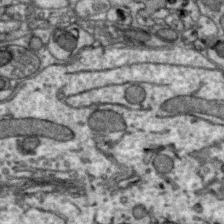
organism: Zebra finch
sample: Brain